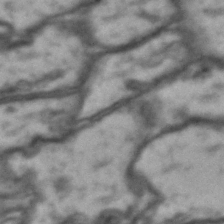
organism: Drosophila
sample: Brain